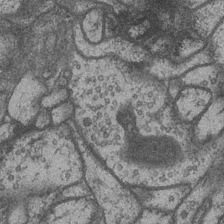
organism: Drosophila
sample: Optic medulla